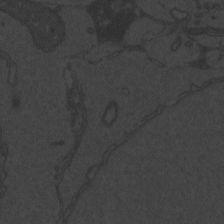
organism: Zebrafish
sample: Macrophage infected with Toxoplasma gondii